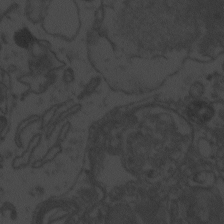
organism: Zebrafish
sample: Macrophage infected with Toxoplasma gondii